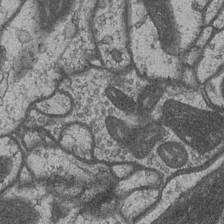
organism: Drosophila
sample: Optic medulla